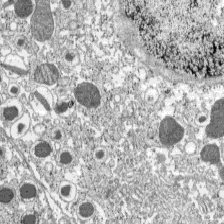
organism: C57BL Mouse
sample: Pancreatic islet